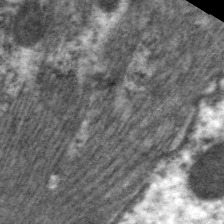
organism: C. elegans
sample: Pharynx